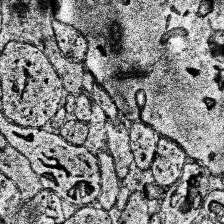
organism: Human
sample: Temporal Lobe